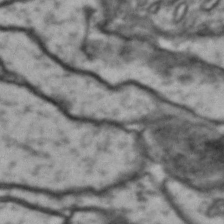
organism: Drosophila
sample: Brain